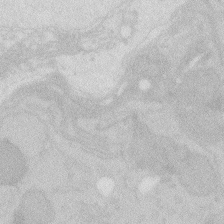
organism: Zebrafish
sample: Macrophage